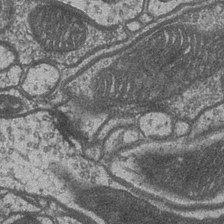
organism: Drosophila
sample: Optic medulla